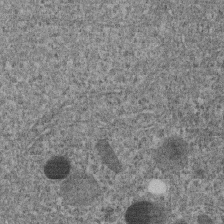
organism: C. elegans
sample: C. elegans embryo early stage